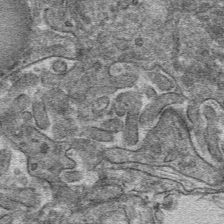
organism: Mouse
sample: Mouse hepatocytes